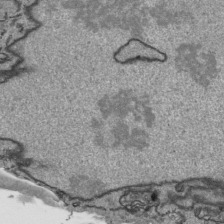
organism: Human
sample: Mitochondria in HCT116 cells